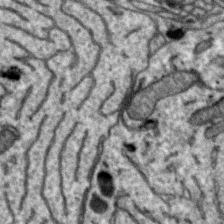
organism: Zebra finch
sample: Brain